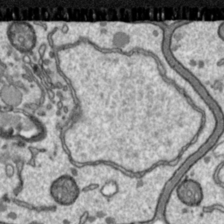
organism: Toxoplasma gondii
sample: Parasites in a vacuole inside a host cell